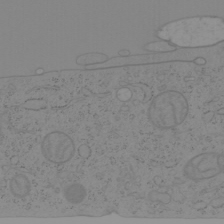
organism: Human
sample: HeLa cells